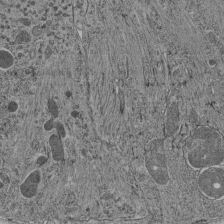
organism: C. elegans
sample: C. elegans pharynx